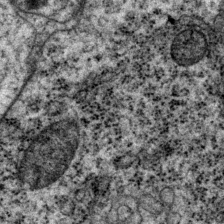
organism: P. pacificus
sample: Pharynx